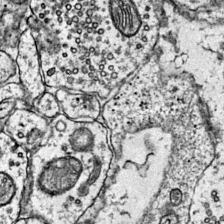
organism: Mouse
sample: Primary visual cortex